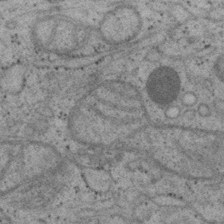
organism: Human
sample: HeLa cells